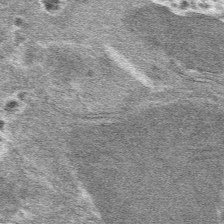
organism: Mouse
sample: Mouse hepatocytes